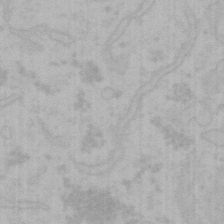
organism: Mouse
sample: Choroid plexus